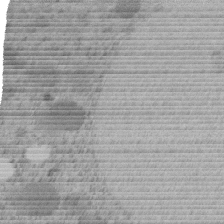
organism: C. elegans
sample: C. elegans embryo early stage